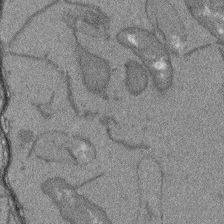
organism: Arabidopsis thaliana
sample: Root tip